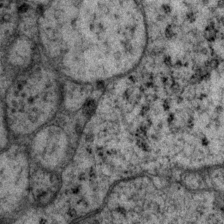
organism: P. pacificus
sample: Pharynx